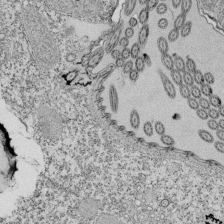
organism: Tetrahymena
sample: Cilia in tetrahymena